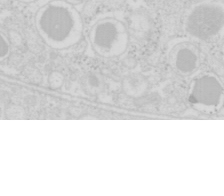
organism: Mouse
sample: Pancreas